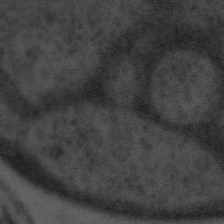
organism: Tuwongella immobilis